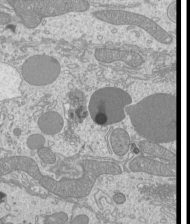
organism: Mouse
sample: Cilia; mouse epididymis